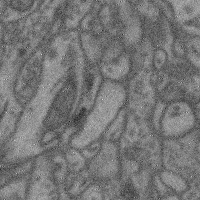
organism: Mouse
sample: Cerebral cortex